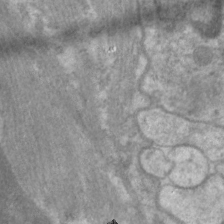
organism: C. elegans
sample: Pharynx